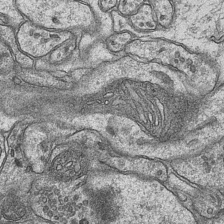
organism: Mouse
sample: CA1 Hippocampus